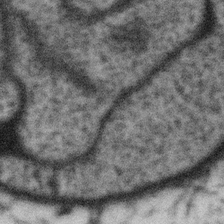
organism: Gemmata obscuriglobus